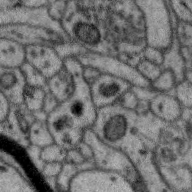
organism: Zebra finch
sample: Brain